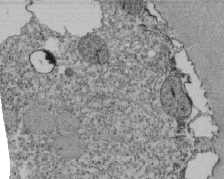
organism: Tetrahymena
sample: Cilia in tetrahymena